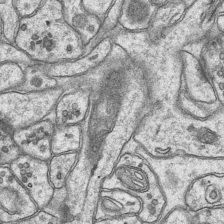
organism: Mouse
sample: CA1 Hippocampus